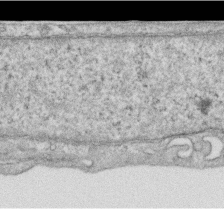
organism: Human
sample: Centriole in RPE cells